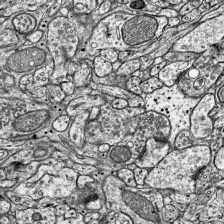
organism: Mouse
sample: Visual Cortex